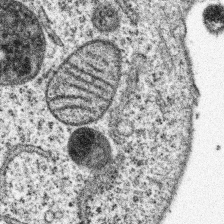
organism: Human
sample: HeLa cells